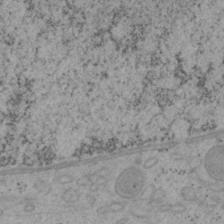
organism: Human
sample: HeLa cells